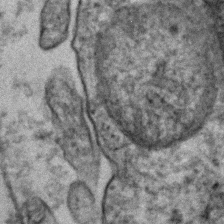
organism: Human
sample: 1205lu cells